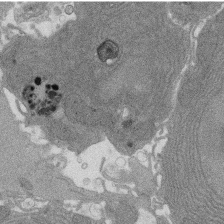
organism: Rat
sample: Salivary granule